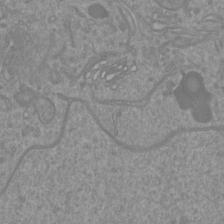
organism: Mouse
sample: Cortical neurons